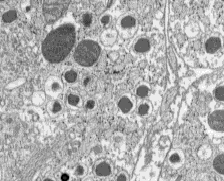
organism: C57BL Mouse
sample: Pancreatic islet